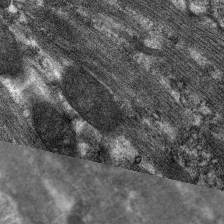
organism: C. elegans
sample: Pharynx